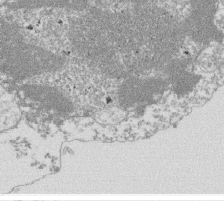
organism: Human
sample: HeLa cell HIV synapse